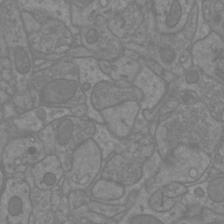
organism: Mouse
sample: Cortical neurons